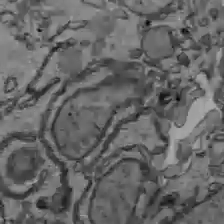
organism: C57BL Mouse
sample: Liver